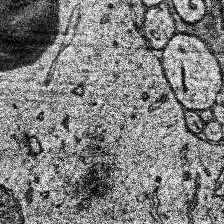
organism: Human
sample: Temporal Lobe